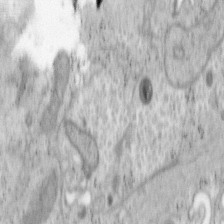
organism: Human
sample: HeLa cells